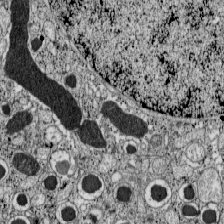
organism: C57BL Mouse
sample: Pancreatic islet